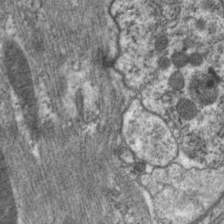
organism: C. elegans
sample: Pharynx